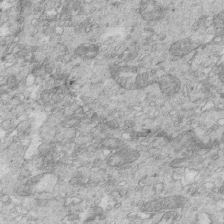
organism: Mouse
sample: Multiciliated cells